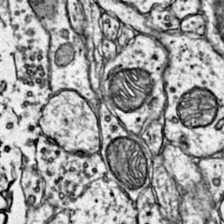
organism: Mouse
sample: Primary visual cortex